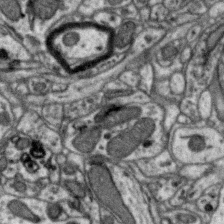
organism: Zebra finch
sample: Brain